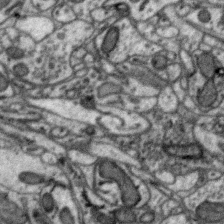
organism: Zebra finch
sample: Brain